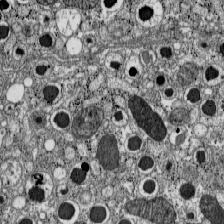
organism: C57BL Mouse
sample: Pancreatic islet